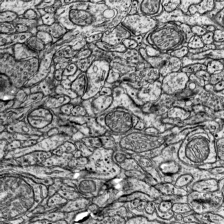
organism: Mouse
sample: Visual Cortex